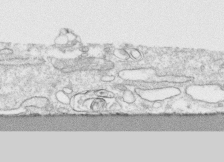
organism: Human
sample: CRL-1474